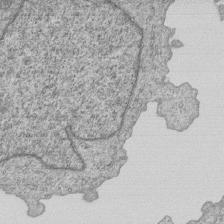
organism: Human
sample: MDA-MB-231 cells